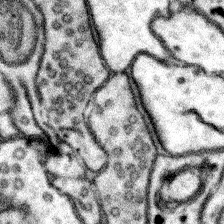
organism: Mouse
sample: Somatosensory cortex neuropil